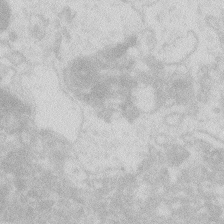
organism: Zebrafish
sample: Macrophage